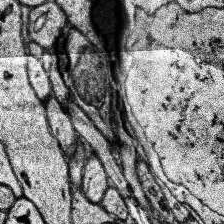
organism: Human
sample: Temporal Lobe